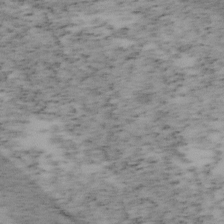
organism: Mouse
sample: OT-I killer T cells with ID8 ovarian cancer cells